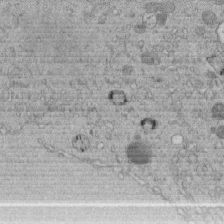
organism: C. elegans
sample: C. elegans embryo early stage